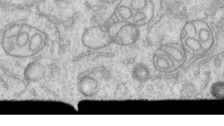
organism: Human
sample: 1205lu cells